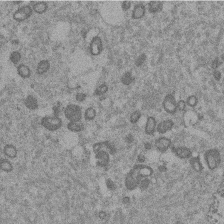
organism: Mouse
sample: Dividing mouse embryo 1 cell stage